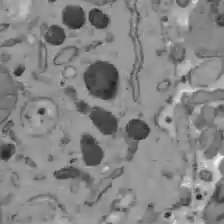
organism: C57BL Mouse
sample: Liver